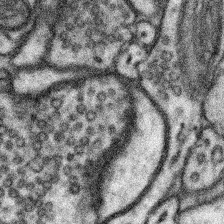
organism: Mouse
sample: Somatosensory cortex neuropil